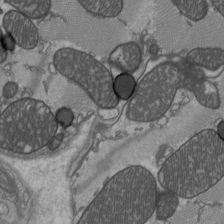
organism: C57BL Mouse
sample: Heart